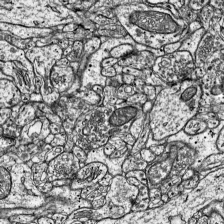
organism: Mouse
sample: Visual Cortex